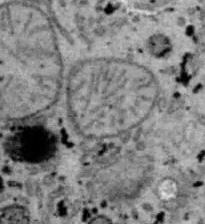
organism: Mouse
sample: Liver from an obese (ob/ob) mouse